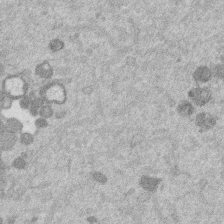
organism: Mouse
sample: Dividing mouse embryo 1 cell stage